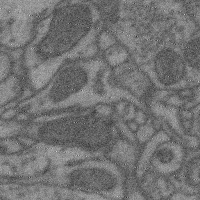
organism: Mouse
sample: Cerebral cortex